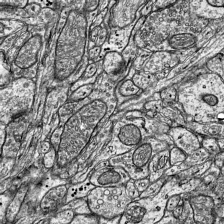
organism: Mouse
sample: Visual Cortex